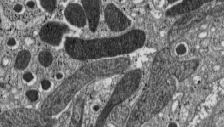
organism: C57BL Mouse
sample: Pancreatic islet